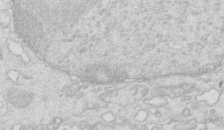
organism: Mouse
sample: Multiciliated cells